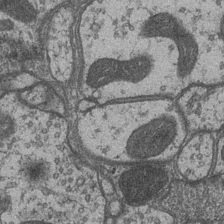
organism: Drosophila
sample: Optic medulla